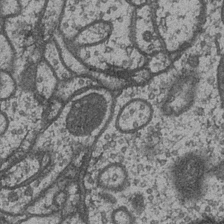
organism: Drosophila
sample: Optic medulla